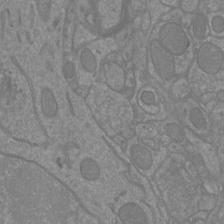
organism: Mouse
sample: Cortical neurons